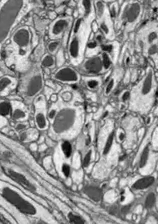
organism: Drosophila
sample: Optic lobe